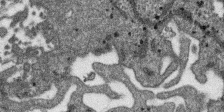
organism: Human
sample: Lung epithelial cells infected with SARS-CoV-2